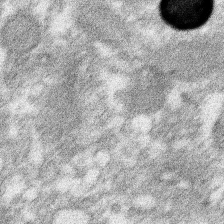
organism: Xenopus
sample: Cilia; centrioles in frog embryo cells